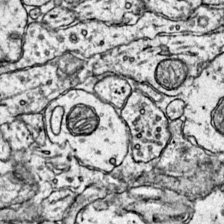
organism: Mouse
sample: Primary visual cortex